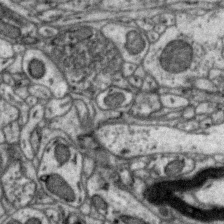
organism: Zebra finch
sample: Brain